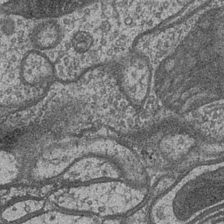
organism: Drosophila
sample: Optic medulla